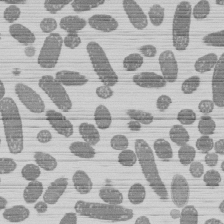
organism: E. coli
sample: Bacterial nucleoid